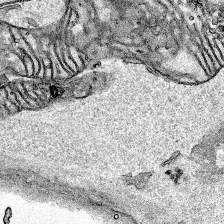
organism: Human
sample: Mitochondria in HCT116 cells